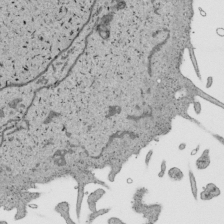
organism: Human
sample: Mitochondria in HCT116 cells